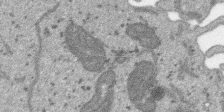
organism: Human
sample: Lung epithelial cells infected with SARS-CoV-2